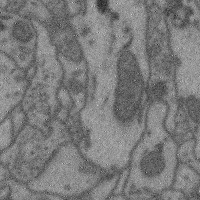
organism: Mouse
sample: Cerebral cortex